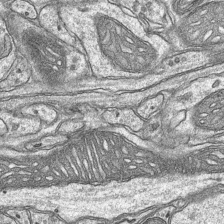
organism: Mouse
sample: CA1 Hippocampus